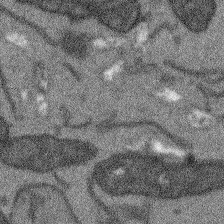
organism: Arabidopsis thaliana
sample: Root tip